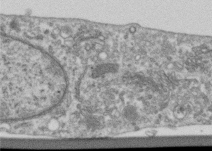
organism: Human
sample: Centriole in RPE cells